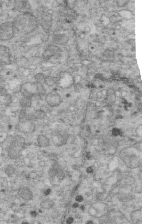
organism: Mouse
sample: Multiciliated cells